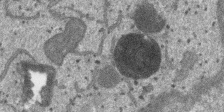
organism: Human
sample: Lung epithelial cells infected with SARS-CoV-2